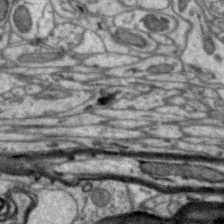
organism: Zebra finch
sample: Brain